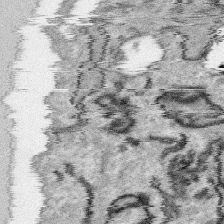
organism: Human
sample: HeLa cells